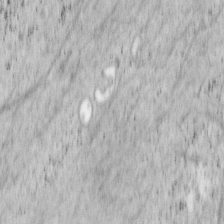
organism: Human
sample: HeLa cells